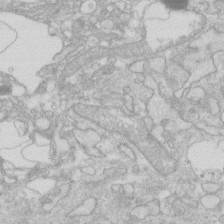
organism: Human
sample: Fibroblast cells